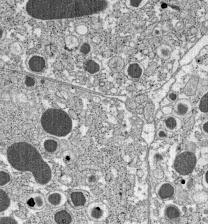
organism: C57BL Mouse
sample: Pancreatic islet